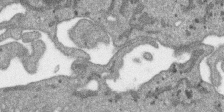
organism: Human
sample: Lung epithelial cells infected with SARS-CoV-2